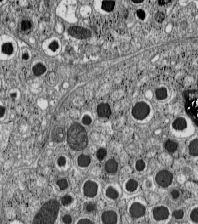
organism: C57BL Mouse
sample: Pancreatic islet